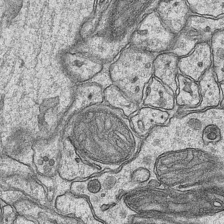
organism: Mouse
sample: CA1 Hippocampus